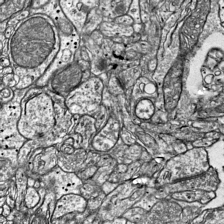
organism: Mouse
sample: Visual Cortex